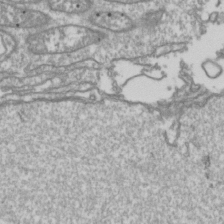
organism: Drosophila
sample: Cell division; meiosis; drosophila spermatocytes